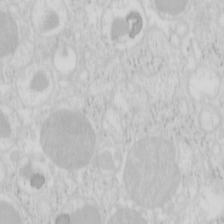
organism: Mouse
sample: Pancreas